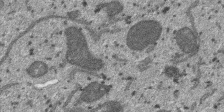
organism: Human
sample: Lung epithelial cells infected with SARS-CoV-2